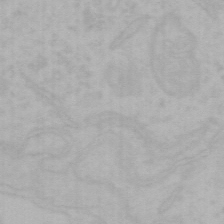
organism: Mouse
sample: Choroid plexus